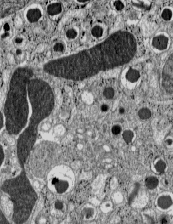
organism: C57BL Mouse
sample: Pancreatic islet